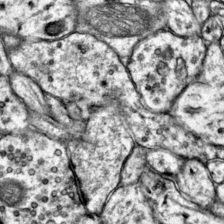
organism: Mouse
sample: Primary visual cortex